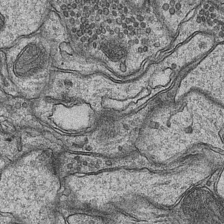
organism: Mouse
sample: CA1 Hippocampus